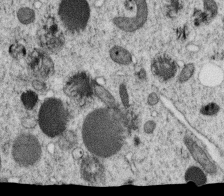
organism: C. elegans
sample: C. elegans oocyte; sperm cells